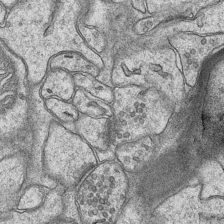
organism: Mouse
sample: CA1 Hippocampus